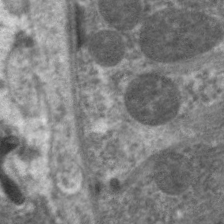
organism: C. elegans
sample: Pharynx